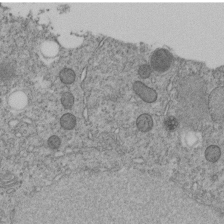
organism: C. elegans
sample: C. elegans embryo early stage